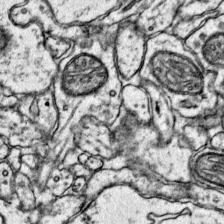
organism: Mouse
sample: Primary visual cortex